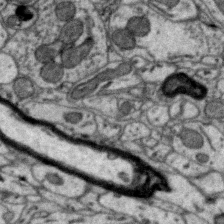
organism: Zebra finch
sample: Brain